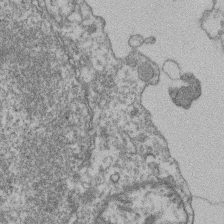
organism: Mouse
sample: T cell stromal cell synapse